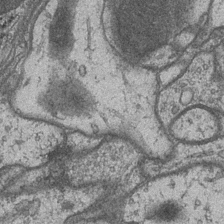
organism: Drosophila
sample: Optic medulla